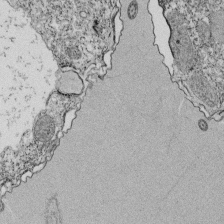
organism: Tetrahymena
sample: Cilia in tetrahymena